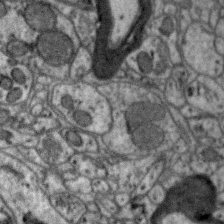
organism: Zebra finch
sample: Brain